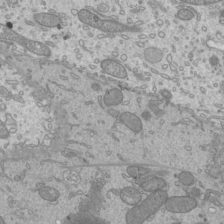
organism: Mouse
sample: Cilia; mouse epididymis